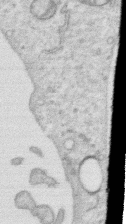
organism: Human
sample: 1205lu cells